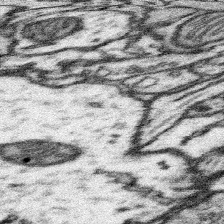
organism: Mouse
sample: Somatosensory cortex neuropil